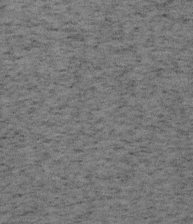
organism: Mouse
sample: OT-I killer T cells with ID8 ovarian cancer cells